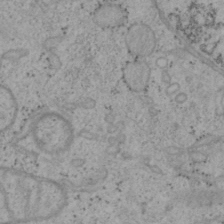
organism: Human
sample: HeLa cells